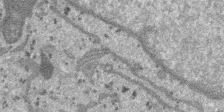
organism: Human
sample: Lung epithelial cells infected with SARS-CoV-2